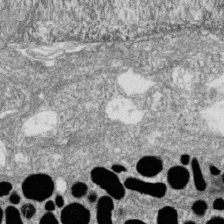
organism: Zebrafish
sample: Cilia; retinal pigment epithelium